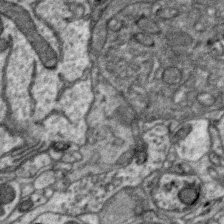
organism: Zebra finch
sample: Brain